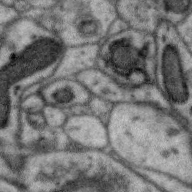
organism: Zebra finch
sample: Brain